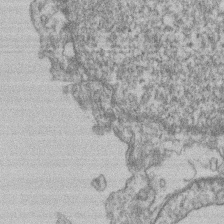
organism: Mouse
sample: T cell stromal cell synapse